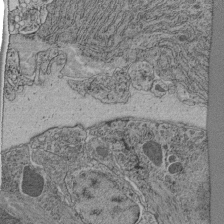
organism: C. elegans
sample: C. elegans pharynx